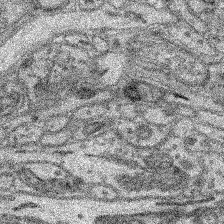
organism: Mouse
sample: Retina